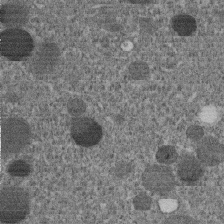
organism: C. elegans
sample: C. elegans embryo early stage